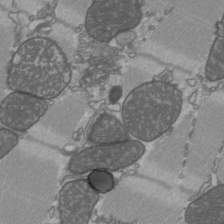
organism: C57BL Mouse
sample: Heart